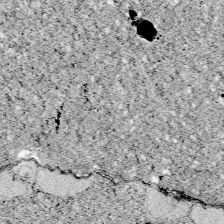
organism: Zebrafish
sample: Whole-Brain